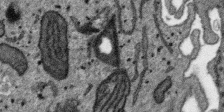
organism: Human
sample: Lung epithelial cells, uninfected (mock) control